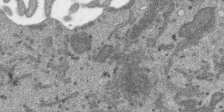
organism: Human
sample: Lung epithelial cells infected with SARS-CoV-2